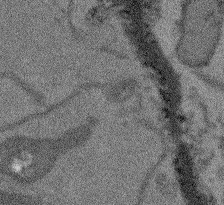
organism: Arabidopsis thaliana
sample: Root tip